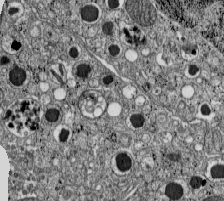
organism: C57BL Mouse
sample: Pancreatic islet